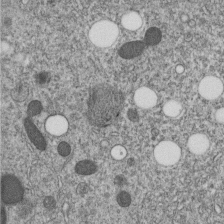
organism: C. elegans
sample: C. elegans embryo early stage